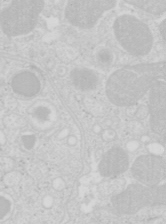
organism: Mouse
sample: Pancreas